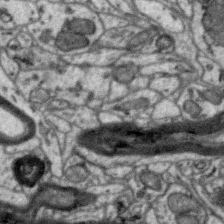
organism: Zebra finch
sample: Brain